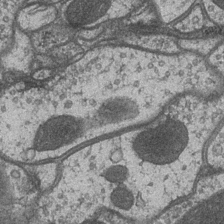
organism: Drosophila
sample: Optic medulla